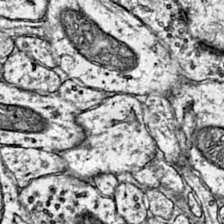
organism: Mouse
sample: Primary visual cortex